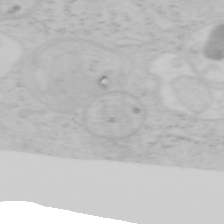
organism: Mouse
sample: OT-I killer T cells with ID8 ovarian cancer cells